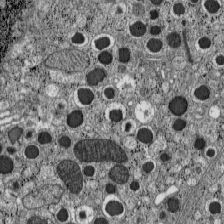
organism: C57BL Mouse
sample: Pancreatic islet